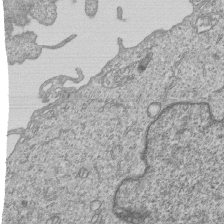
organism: Human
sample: MDA-MB-231 cells